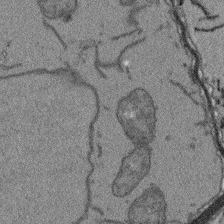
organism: Arabidopsis thaliana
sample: Root tip